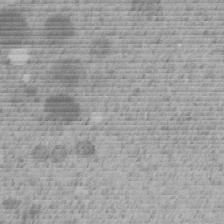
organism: C. elegans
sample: C. elegans embryo early stage